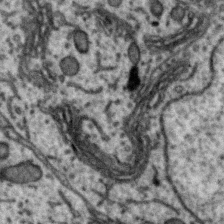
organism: Zebra finch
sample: Brain